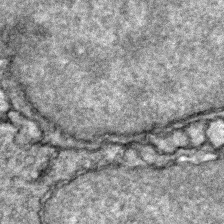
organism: Zebrafish